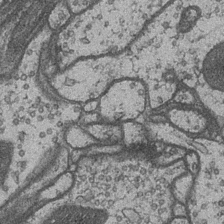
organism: Drosophila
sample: Optic medulla